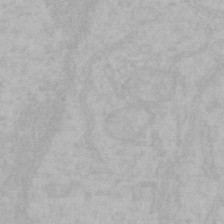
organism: Mouse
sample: Choroid plexus